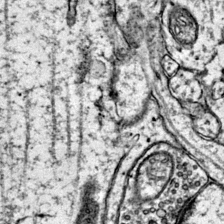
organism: Mouse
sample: Primary visual cortex